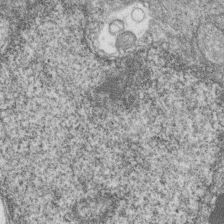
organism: Zebrafish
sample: Cilia; retinal pigment epithelium